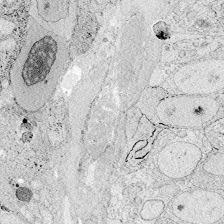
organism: Zebrafish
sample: Whole-Brain